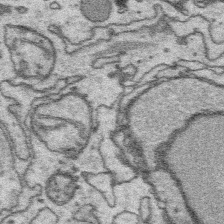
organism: Platynereis dumerilii